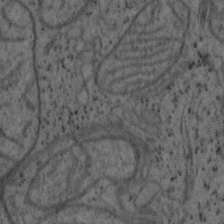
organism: Human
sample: HeLa cells